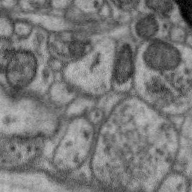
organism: Zebra finch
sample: Brain